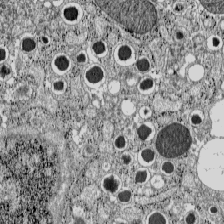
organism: C57BL Mouse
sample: Pancreatic islet